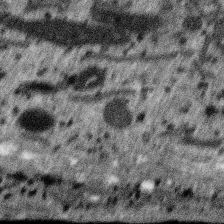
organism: Human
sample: Lung epithelial cells infected with SARS-CoV-2